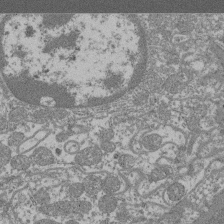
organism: Mouse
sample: Glomerulus